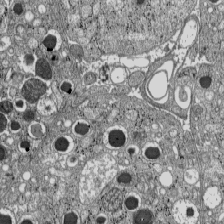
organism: C57BL Mouse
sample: Pancreatic islet